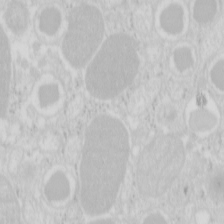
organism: Mouse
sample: Pancreas